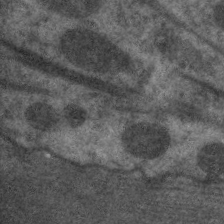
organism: C. elegans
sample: Pharynx